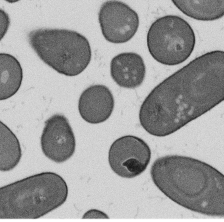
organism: B. subtilis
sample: Bacterial spore